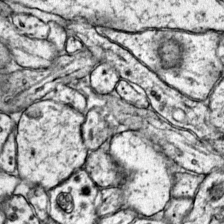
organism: Mouse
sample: Primary visual cortex